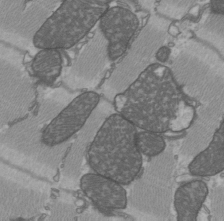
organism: C57BL Mouse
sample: Heart